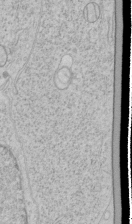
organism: Human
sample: Mitochondria in HCT116 cells